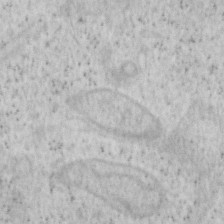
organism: Human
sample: HeLa cells